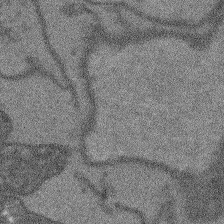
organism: Arabidopsis thaliana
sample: Root tip